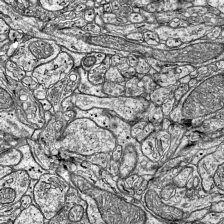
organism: Mouse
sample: Visual Cortex